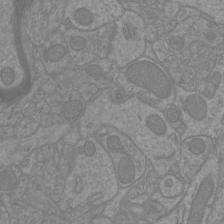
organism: Mouse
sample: Cortical neurons